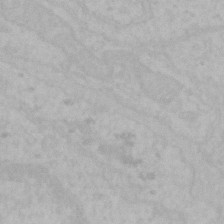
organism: Mouse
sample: Choroid plexus